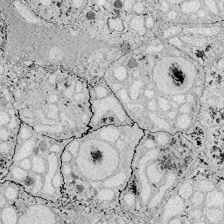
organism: Zebrafish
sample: Whole-Brain